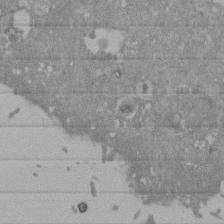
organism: Mouse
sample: ED-1 cell nuclei; centrioles